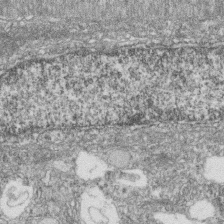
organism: Zebrafish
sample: Cilia; retinal pigment epithelium